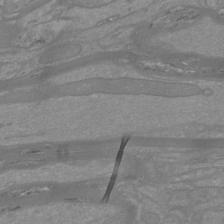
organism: Mouse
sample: Cortical neurons